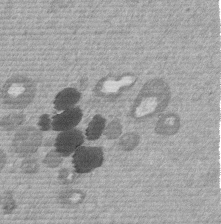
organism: Mouse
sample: Dividing mouse embryo 1 cell stage